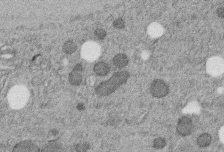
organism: C. elegans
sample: C. elegans embryo early stage